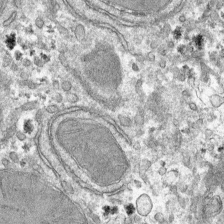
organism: Mouse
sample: Mouse hepatocytes